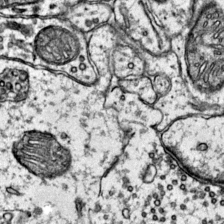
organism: Mouse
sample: Primary visual cortex